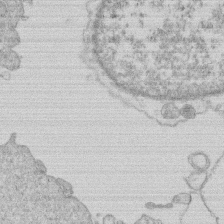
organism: Human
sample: Macrophage cells